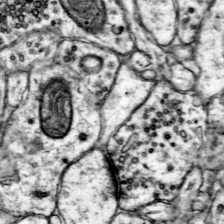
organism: Mouse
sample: Primary visual cortex